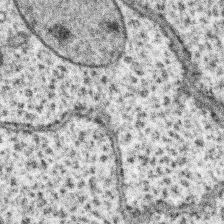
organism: Human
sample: HeLa cells